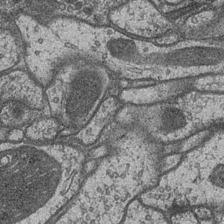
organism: Drosophila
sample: Optic medulla